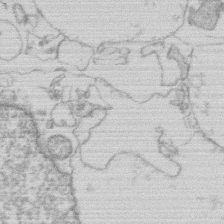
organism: Human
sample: Macrophage cells